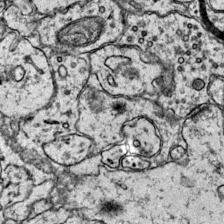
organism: Mouse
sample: Primary visual cortex